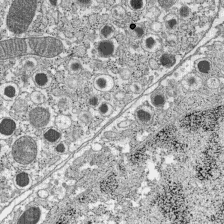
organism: C57BL Mouse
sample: Pancreatic islet